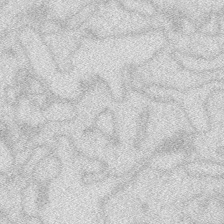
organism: Zebrafish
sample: Macrophage